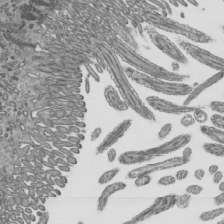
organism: Mouse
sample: Mouse epididymis efferent ductule cilia